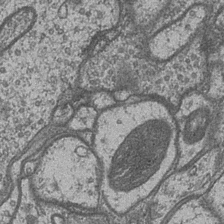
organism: Drosophila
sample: Optic medulla